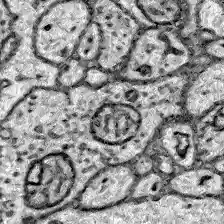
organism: Zebrafish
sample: Brain